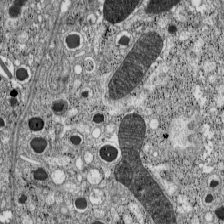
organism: C57BL Mouse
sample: Pancreatic islet